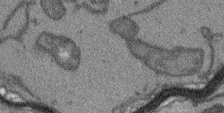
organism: Arabidopsis thaliana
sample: Root tip